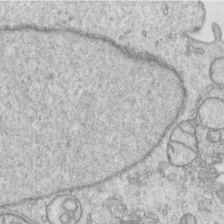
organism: Human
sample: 1205lu cells